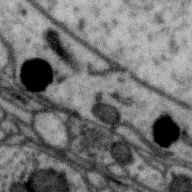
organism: Zebra finch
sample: Brain